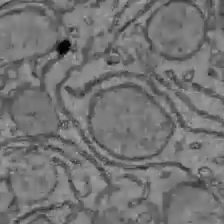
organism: C57BL Mouse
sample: Liver